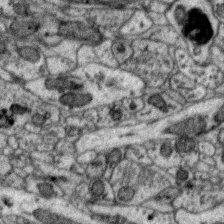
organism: Zebra finch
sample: Brain